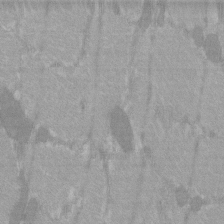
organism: C57BL Mouse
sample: Tibialis anterior muscle cell